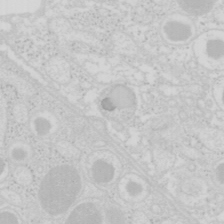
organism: Mouse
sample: Pancreas